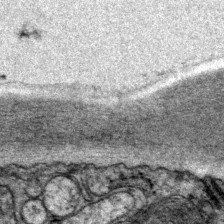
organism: P. pacificus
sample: Pharynx